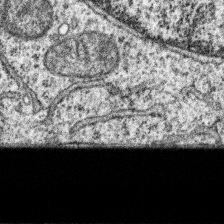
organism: Human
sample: HeLa cells